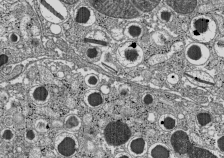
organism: C57BL Mouse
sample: Pancreatic islet